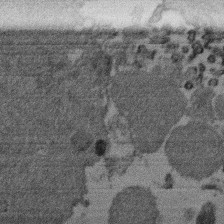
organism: Mouse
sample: Dividing mouse embryo 1 cell stage